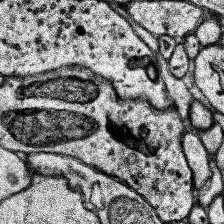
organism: Human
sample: Temporal Lobe